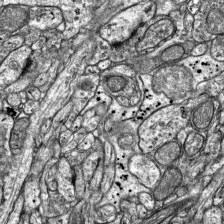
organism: Mouse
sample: Visual Cortex